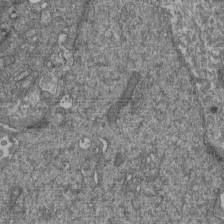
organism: Human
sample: Retinal organoid Rod and Cone cells